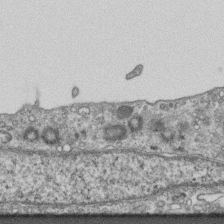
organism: Mouse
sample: Centriole in ependymal cells